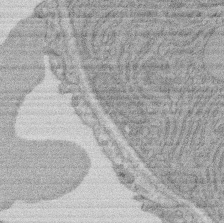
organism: Rat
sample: Salivary granule